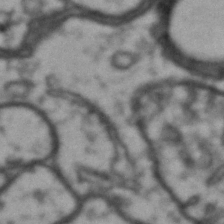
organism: Drosophila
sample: Brain